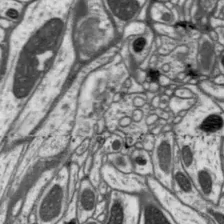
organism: Drosophila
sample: Protocerebral bridge